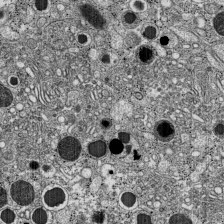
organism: C57BL Mouse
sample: Pancreatic islet